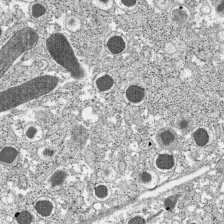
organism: C57BL Mouse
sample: Pancreatic islet